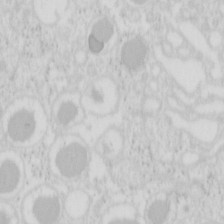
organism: Mouse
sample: Pancreas